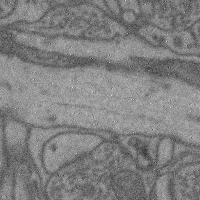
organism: Mouse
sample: Cerebral cortex